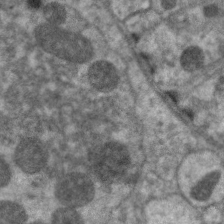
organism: C. elegans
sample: Pharynx